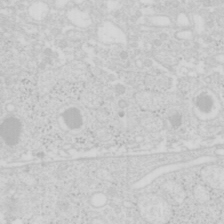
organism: Mouse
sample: Pancreas